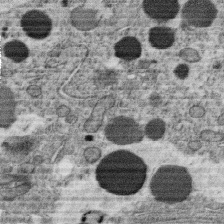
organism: C. elegans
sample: C. elegans oocyte; sperm cells